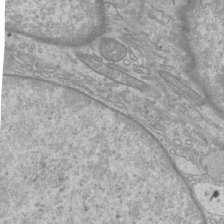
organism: Mouse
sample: Cilia; mouse epididymis